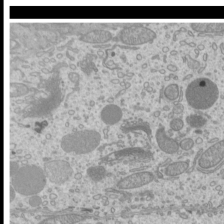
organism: Mouse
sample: Cilia; mouse epididymis